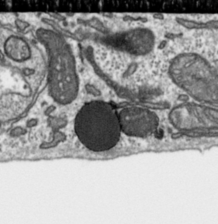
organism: Toxoplasma gondii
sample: Parasites in a vacuole inside a host cell